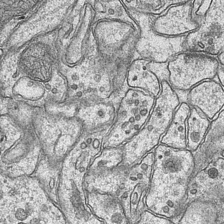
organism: Mouse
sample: CA1 Hippocampus